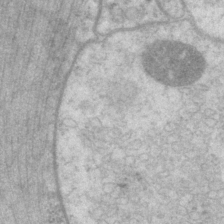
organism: P. pacificus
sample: Pharynx